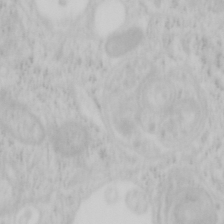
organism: Mouse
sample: OT-I killer T cells with ID8 ovarian cancer cells